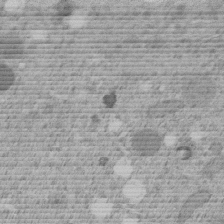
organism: C. elegans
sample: C. elegans embryo early stage